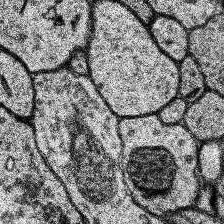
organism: Human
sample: Temporal Lobe